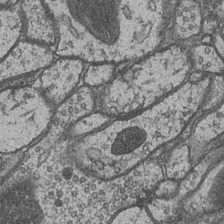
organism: Drosophila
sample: Optic medulla